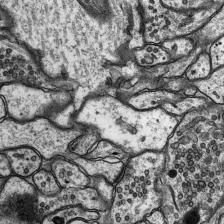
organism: Rat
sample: Hippocampus